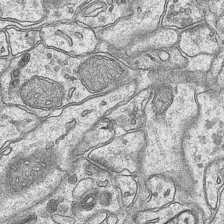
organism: Mouse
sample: CA1 Hippocampus